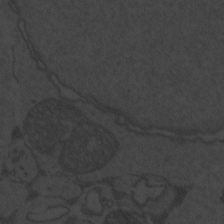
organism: Zebrafish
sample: Macrophage infected with Toxoplasma gondii